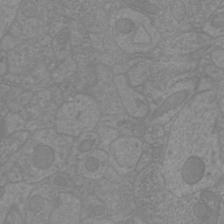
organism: Mouse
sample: Cortical neurons